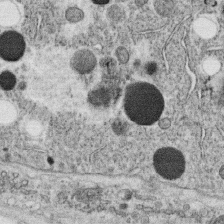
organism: C. elegans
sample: C. elegans oocyte; sperm cells